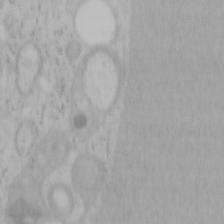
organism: Mouse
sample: OT-I killer T cells with ID8 ovarian cancer cells